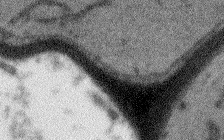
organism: Arabidopsis thaliana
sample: Root tip